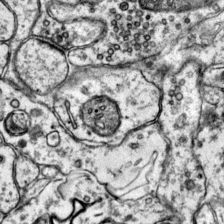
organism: Mouse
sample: Primary visual cortex